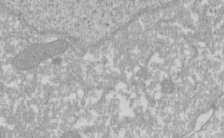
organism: Xenopus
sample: Cilia; centrioles in frog embryo cells